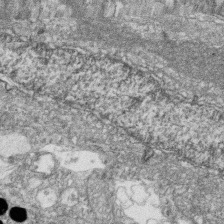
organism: Zebrafish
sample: Cilia; retinal pigment epithelium